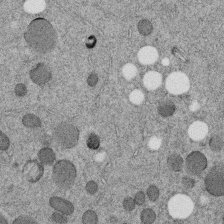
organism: C. elegans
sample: C. elegans embryo early stage